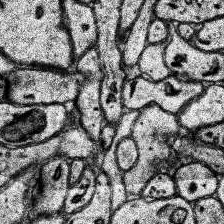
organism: Human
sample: Temporal Lobe